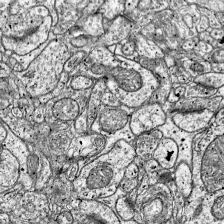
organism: Mouse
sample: Visual Cortex